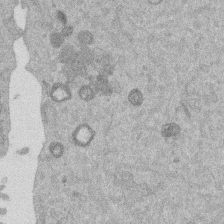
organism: Mouse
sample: Dividing mouse embryo 1 cell stage